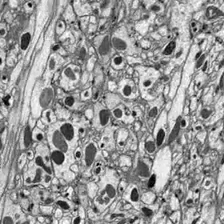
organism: Drosophila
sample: Optic lobe